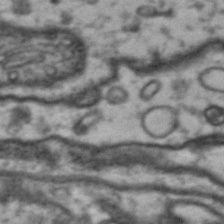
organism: Drosophila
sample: Brain